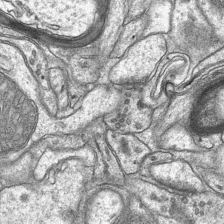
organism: Mouse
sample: CA1 Hippocampus